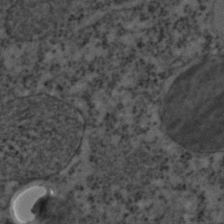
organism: C. elegans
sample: C. elegans embryo